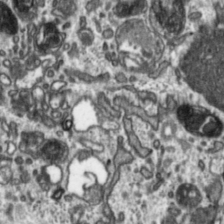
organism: Toxoplasma gondii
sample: Parasites in a vacuole inside a host cell